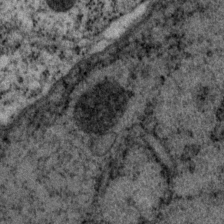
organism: P. pacificus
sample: Pharynx